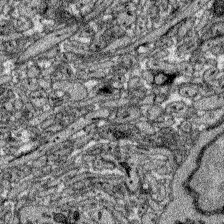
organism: Zebrafish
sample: Larval olfactory bulb